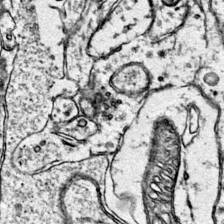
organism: Mouse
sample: Primary visual cortex